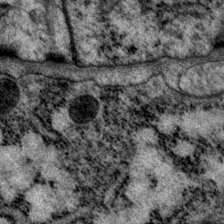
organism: P. pacificus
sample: Pharynx